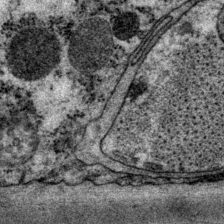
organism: P. pacificus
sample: Pharynx